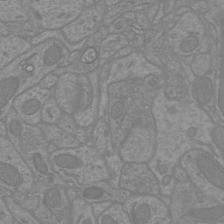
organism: Mouse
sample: Cortical neurons